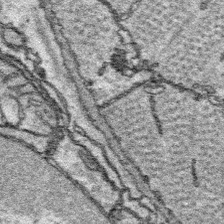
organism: Platynereis dumerilii